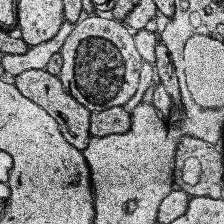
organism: Human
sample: Temporal Lobe